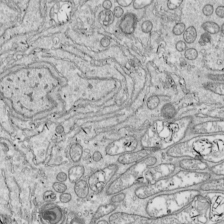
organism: Drosophila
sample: Cell division; meiosis; drosophila spermatocytes